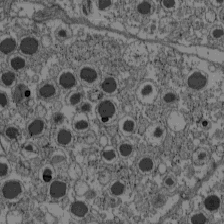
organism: C57BL Mouse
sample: Pancreatic islet